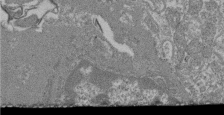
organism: Mouse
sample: Glomerulus